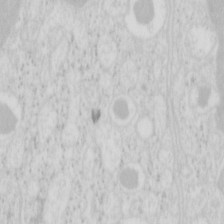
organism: Mouse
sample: Pancreas